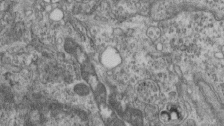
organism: Mouse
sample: Centriole in ependymal cells